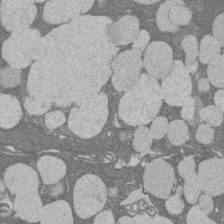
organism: Rat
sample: Salivary granule